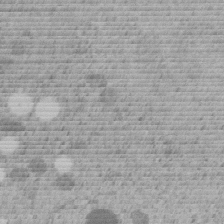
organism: C. elegans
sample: C. elegans embryo early stage